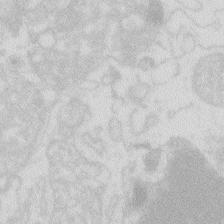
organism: Zebrafish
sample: Macrophage